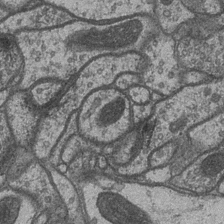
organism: Drosophila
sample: Optic medulla